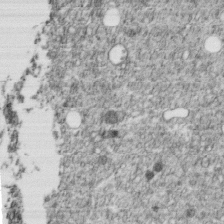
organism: C. elegans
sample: C. elegans embryo early stage